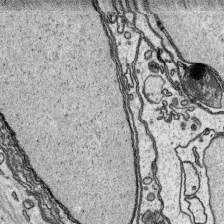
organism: Platynereis dumerilii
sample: Parapodia